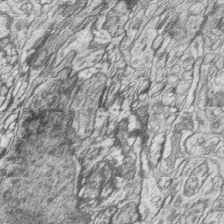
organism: Zebrafish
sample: synaptic ribbons in rod cells and cone cells